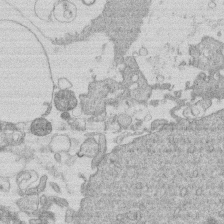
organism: Human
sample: Macrophage cells